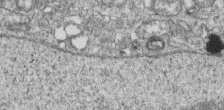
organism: Human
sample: HeLa cell HIV synapse